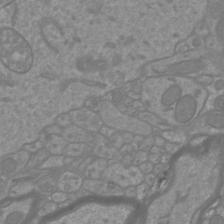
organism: Mouse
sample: Cortical neurons